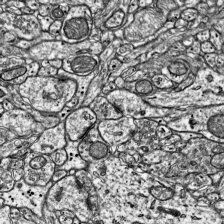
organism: Mouse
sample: Visual Cortex